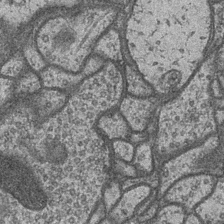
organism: Drosophila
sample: Optic medulla